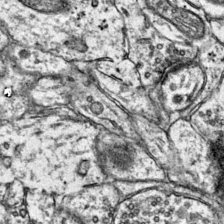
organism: Mouse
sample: Primary visual cortex